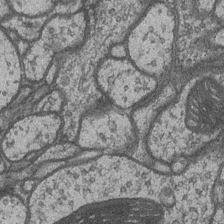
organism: Drosophila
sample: Optic medulla